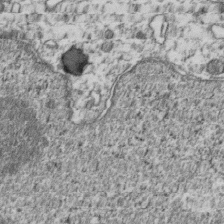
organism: Human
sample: Activated Jurkat CD4+ T cells